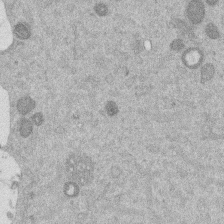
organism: Mouse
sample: Dividing mouse embryo 1 cell stage